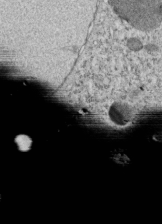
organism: C. elegans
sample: C. elegans embryo early stage